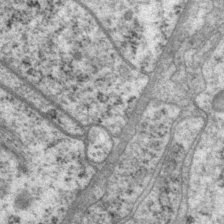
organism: P. pacificus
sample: Pharynx